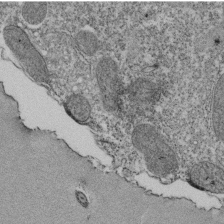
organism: Tetrahymena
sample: Cilia in tetrahymena